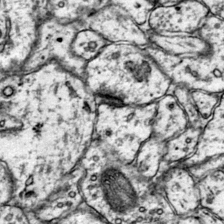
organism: Mouse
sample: Primary visual cortex